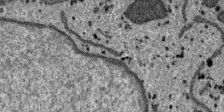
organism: Human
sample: Lung epithelial cells, uninfected (mock) control